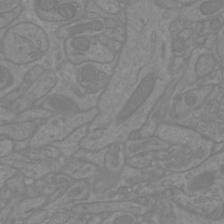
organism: Mouse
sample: Cortical neurons